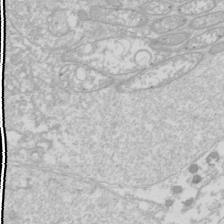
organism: Drosophila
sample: Cell division; meiosis; drosophila spermatocytes